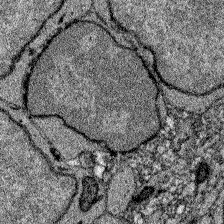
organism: Zebrafish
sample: Larval olfactory bulb